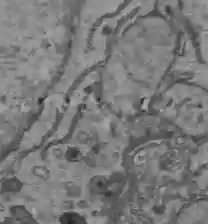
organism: C57BL Mouse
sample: Liver